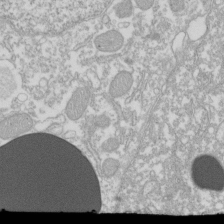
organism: Xenopus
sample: Cilia; centrioles in frog embryo cells